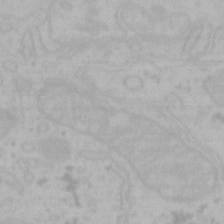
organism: Mouse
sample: Choroid plexus